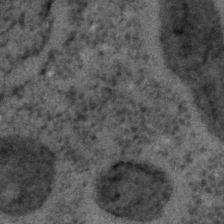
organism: C. elegans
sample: C. elegans embryo